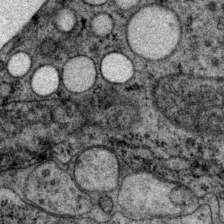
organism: P. pacificus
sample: Pharynx